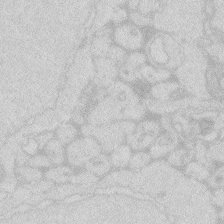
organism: Zebrafish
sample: Macrophage